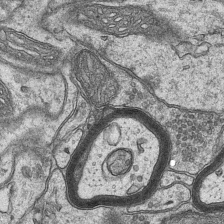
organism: Mouse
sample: CA1 Hippocampus